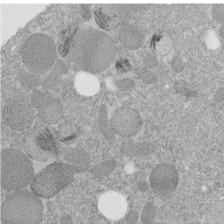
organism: C. elegans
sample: C. elegans embryo early stage